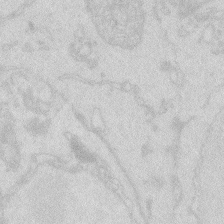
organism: Zebrafish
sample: Macrophage